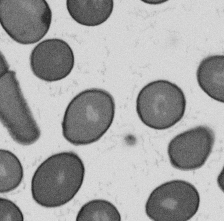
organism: B. subtilis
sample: Bacterial spore